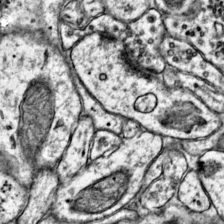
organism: Mouse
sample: Primary visual cortex